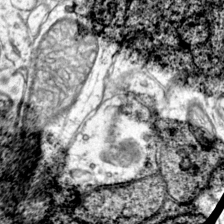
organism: Mouse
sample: Primary visual cortex